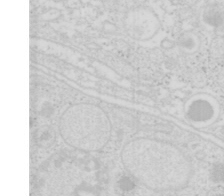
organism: Mouse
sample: Pancreas